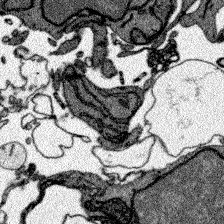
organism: Zebrafish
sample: Larval olfactory bulb